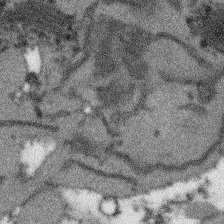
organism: Arabidopsis thaliana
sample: Root tip